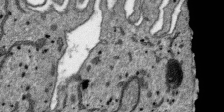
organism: Human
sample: Lung epithelial cells, uninfected (mock) control